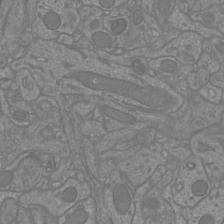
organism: Mouse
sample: Cortical neurons